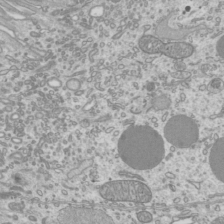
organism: Mouse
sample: Cilia; mouse epididymis